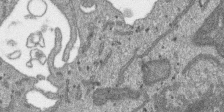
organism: Human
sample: Lung epithelial cells infected with SARS-CoV-2